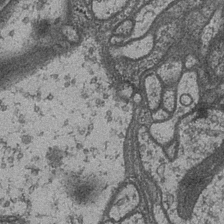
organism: Drosophila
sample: Optic medulla